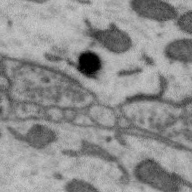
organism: Zebra finch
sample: Brain